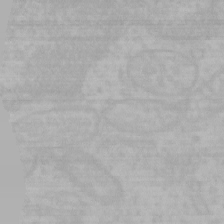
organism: Mouse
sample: Choroid plexus